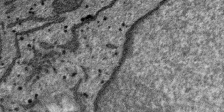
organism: Human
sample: Lung epithelial cells, uninfected (mock) control